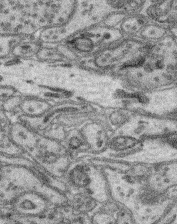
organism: Mouse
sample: Retina